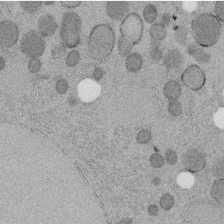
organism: C. elegans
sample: C. elegans embryo early stage